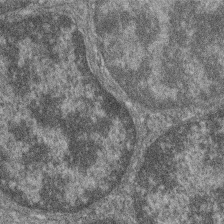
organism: Zebrafish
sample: Cilia; retinal pigment epithelium